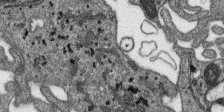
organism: Human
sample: Lung epithelial cells infected with SARS-CoV-2